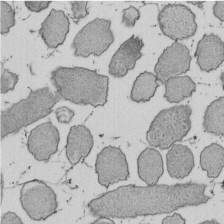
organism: E. coli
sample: Bacterial nucleoid